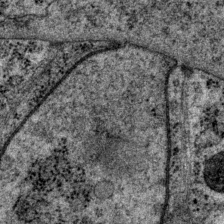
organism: P. pacificus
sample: Pharynx